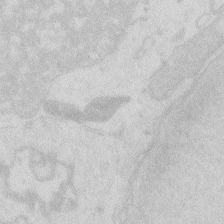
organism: Zebrafish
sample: Macrophage